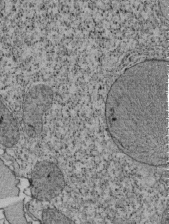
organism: Tetrahymena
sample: Cilia in tetrahymena